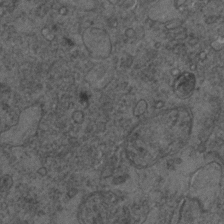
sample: Trachea